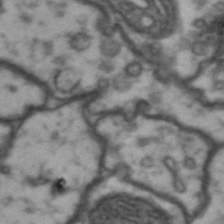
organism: Drosophila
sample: Brain